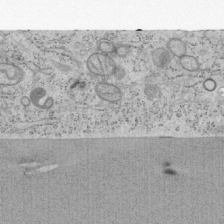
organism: Human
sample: HeLa cells